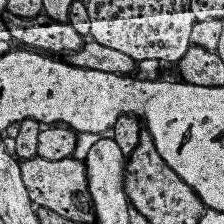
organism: Human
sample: Temporal Lobe